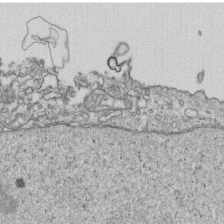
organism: Human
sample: HeLa cell HIV synapse